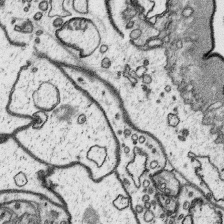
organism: Platynereis dumerilii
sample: Parapodia